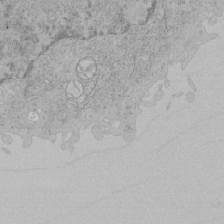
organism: Human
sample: Mitochondria in HCT116 cells